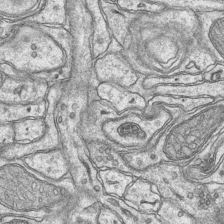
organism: Mouse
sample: CA1 Hippocampus